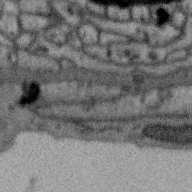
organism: Zebra finch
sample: Brain